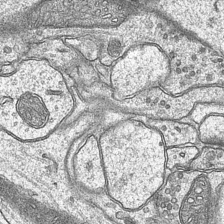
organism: Mouse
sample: CA1 Hippocampus